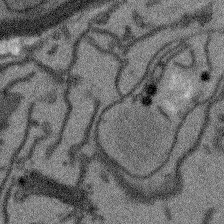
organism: Arabidopsis thaliana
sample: Root tip